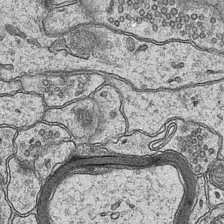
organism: Mouse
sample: CA1 Hippocampus